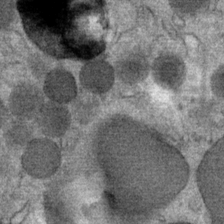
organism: Mouse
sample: Mouse Salivary gland